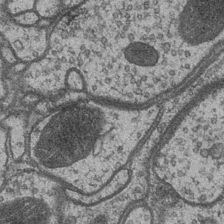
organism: Drosophila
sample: Optic medulla